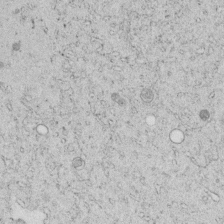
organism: C. elegans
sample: C. elegans embryo early stage